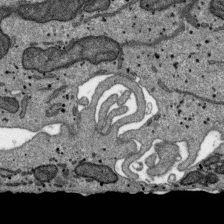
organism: Human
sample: Lung epithelial cells, uninfected (mock) control